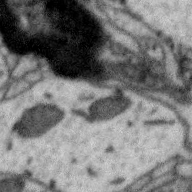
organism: Zebra finch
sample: Brain